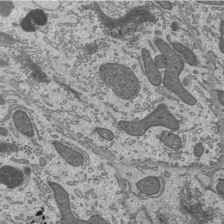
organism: Mouse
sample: Mouse epididymis efferent ductule cilia